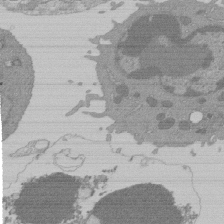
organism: Mouse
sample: Activated Pmel transgenic CD8+ T Cells